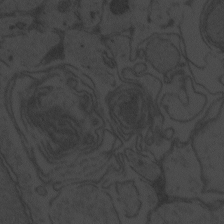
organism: Zebrafish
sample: Macrophage infected with Toxoplasma gondii